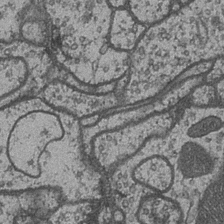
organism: Drosophila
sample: Optic medulla